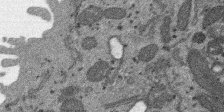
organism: Human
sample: Lung epithelial cells infected with SARS-CoV-2